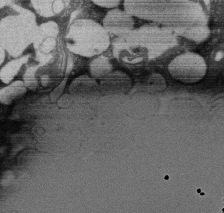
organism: Rat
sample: Salivary granule